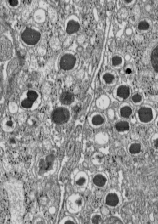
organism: C57BL Mouse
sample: Pancreatic islet